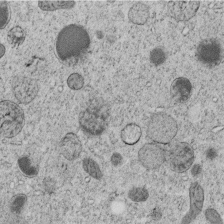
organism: C. elegans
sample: C. elegans embryo early stage